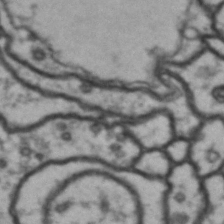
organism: Drosophila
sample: Brain